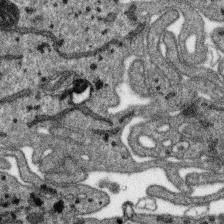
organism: Human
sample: Lung epithelial cells infected with SARS-CoV-2